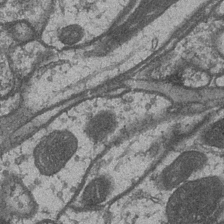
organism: Drosophila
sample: Optic medulla